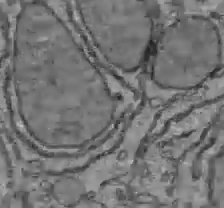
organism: C57BL Mouse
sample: Liver